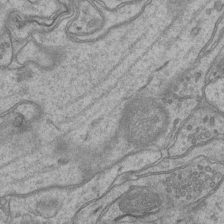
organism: Mouse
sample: CA1 Hippocampus